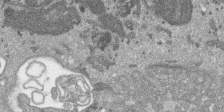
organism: Human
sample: Lung epithelial cells infected with SARS-CoV-2